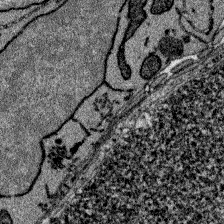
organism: Zebrafish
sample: Larval olfactory bulb